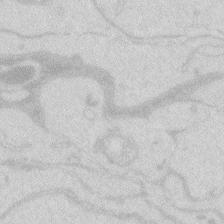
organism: Zebrafish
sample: Macrophage